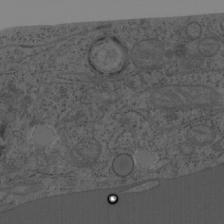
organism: Human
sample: HeLa cells